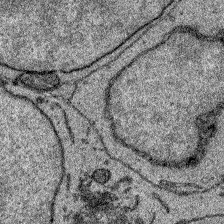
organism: Zebrafish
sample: Larval olfactory bulb